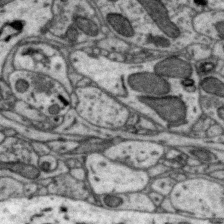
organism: Zebra finch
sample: Brain